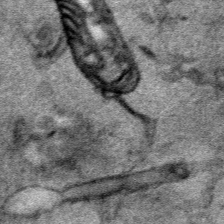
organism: Human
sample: Mitochondria in HCT116 cells